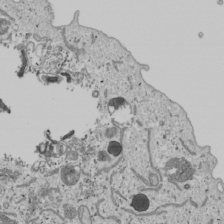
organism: Human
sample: Mitochondria in U2OS cells